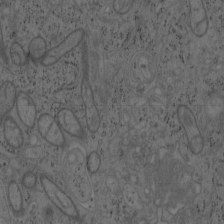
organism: Mouse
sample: OT-I killer T cells with ID8 ovarian cancer cells